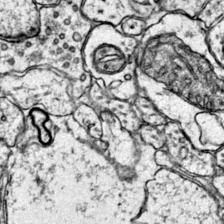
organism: Mouse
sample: Primary visual cortex